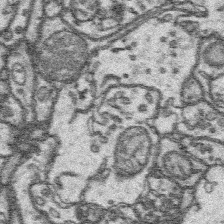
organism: Platynereis dumerilii